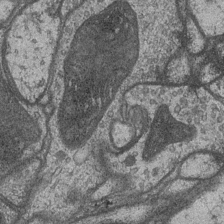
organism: Drosophila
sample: Optic medulla